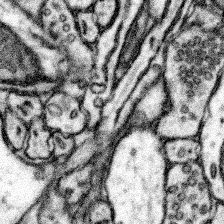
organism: Mouse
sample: Somatosensory cortex neuropil